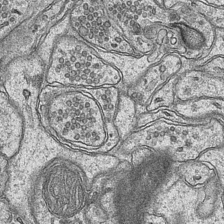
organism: Mouse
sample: CA1 Hippocampus